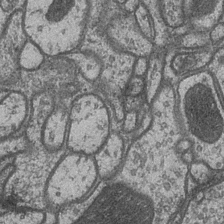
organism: Drosophila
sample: Optic medulla